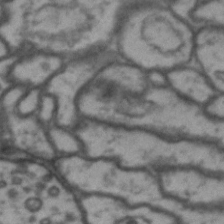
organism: Drosophila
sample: Brain